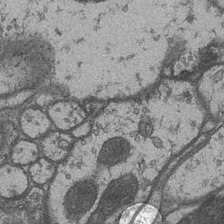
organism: Drosophila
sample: Optic medulla